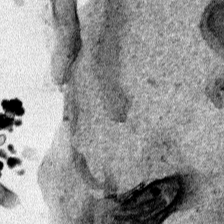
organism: Human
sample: Mitochondria in HCT116 cells